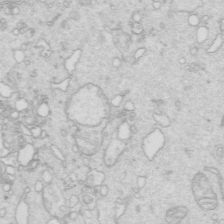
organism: Mouse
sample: Multiciliated cells